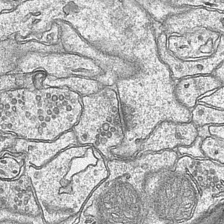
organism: Mouse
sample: CA1 Hippocampus